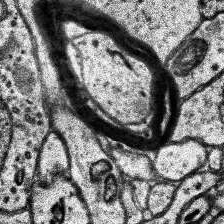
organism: Human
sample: Temporal Lobe